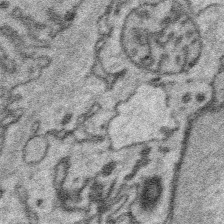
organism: Platynereis dumerilii